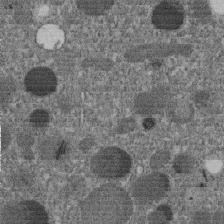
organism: C. elegans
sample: C. elegans embryo early stage